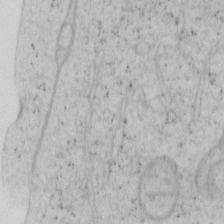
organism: Human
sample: HeLa cells